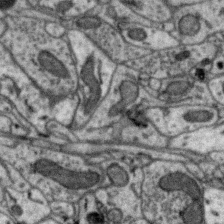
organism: Zebra finch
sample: Brain